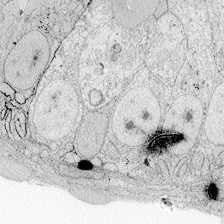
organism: Zebrafish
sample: Whole-Brain